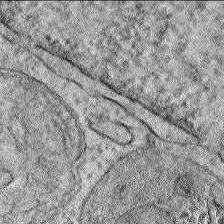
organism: Human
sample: HeLa cells